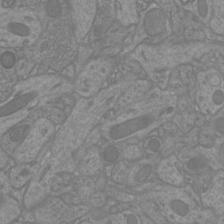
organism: Mouse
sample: Cortical neurons